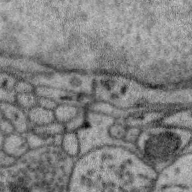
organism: Zebra finch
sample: Brain